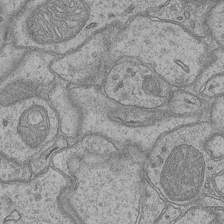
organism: Mouse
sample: CA1 Hippocampus